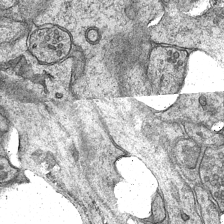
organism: Mouse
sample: CA1 Hippocampus